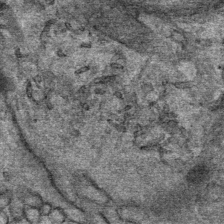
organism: Mouse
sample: Mouse Salivary gland